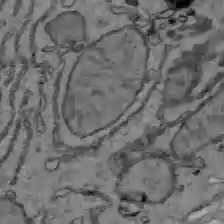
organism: C57BL Mouse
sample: Liver